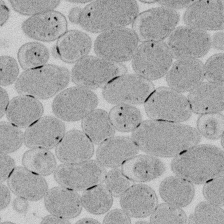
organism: E. coli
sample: Bacterial nucleoid